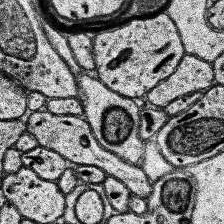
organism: Human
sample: Temporal Lobe